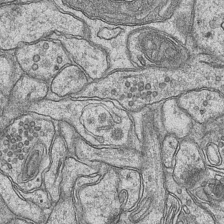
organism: Mouse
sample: CA1 Hippocampus